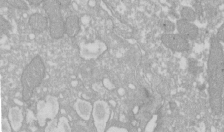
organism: Xenopus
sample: Cilia; centrioles in frog embryo cells